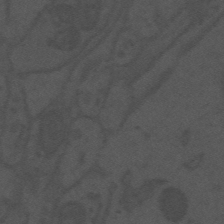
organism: Mouse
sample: Suprachiasmatic nucleus